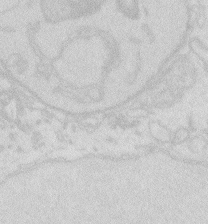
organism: Zebrafish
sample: Macrophage